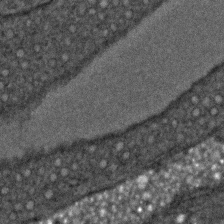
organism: C. elegans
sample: C. elegans embryo